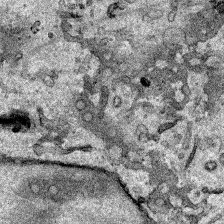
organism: Human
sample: Mitochondria in HCT116 cells